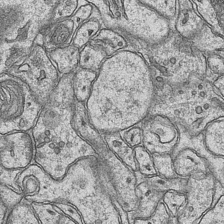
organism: Mouse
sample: CA1 Hippocampus